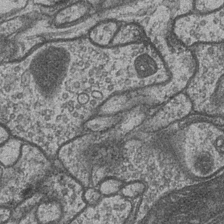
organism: Drosophila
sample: Optic medulla